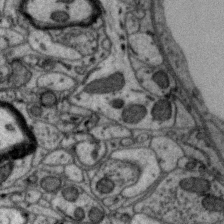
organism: Zebra finch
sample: Brain